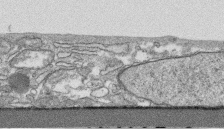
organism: Human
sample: CRL-1474